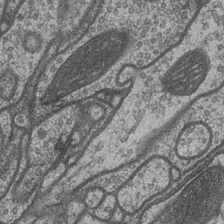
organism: Drosophila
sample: Optic medulla